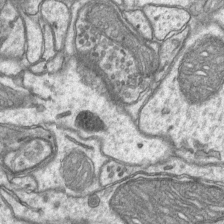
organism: Mouse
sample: CA1 Hippocampus